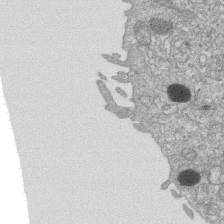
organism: Human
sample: HeLa cell HIV synapse